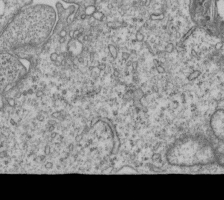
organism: Human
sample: MDA-MB-231 cells